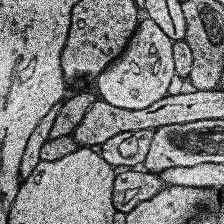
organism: Human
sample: Temporal Lobe